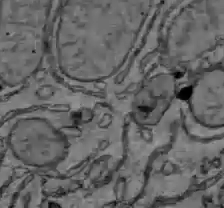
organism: C57BL Mouse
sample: Liver